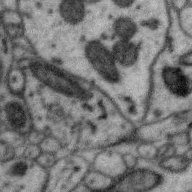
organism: Zebra finch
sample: Brain